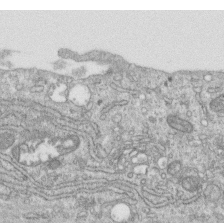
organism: Human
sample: Centriole in RPE cells